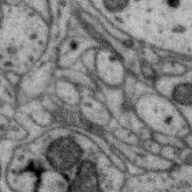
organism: Zebra finch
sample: Brain